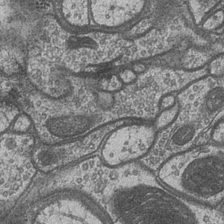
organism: Drosophila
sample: Optic medulla